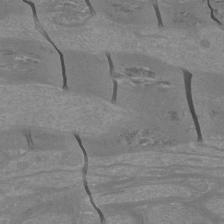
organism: Mouse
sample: Cortical neurons